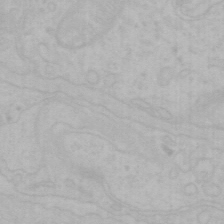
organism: Mouse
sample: Choroid plexus